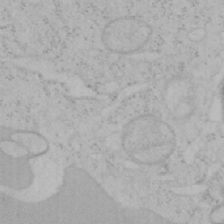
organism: Mouse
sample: OT-I killer T cells with ID8 ovarian cancer cells